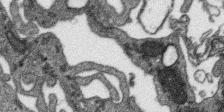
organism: Human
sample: Lung epithelial cells infected with SARS-CoV-2